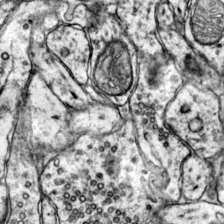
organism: Mouse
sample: Primary visual cortex